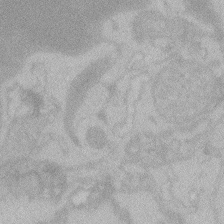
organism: Zebrafish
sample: Macrophage infected with Toxoplasma gondii